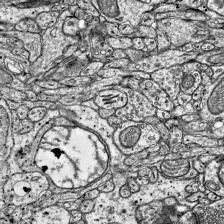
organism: Mouse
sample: Visual Cortex